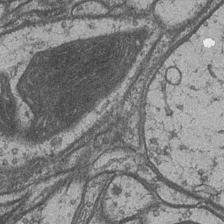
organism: Drosophila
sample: Optic medulla